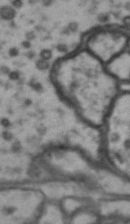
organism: Drosophila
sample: Brain